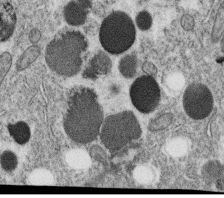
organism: C. elegans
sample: C. elegans oocyte; sperm cells